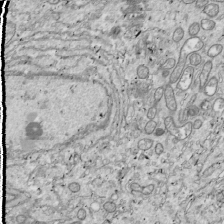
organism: Drosophila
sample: Cell division; meiosis; drosophila spermatocytes